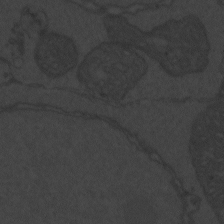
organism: Zebrafish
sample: Macrophage infected with Toxoplasma gondii